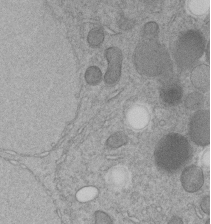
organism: C. elegans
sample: C. elegans embryo early stage